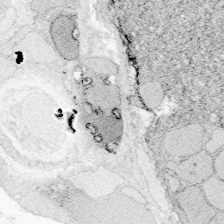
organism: Zebrafish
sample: Whole-Brain